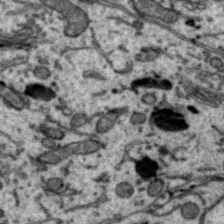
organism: Zebra finch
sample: Brain